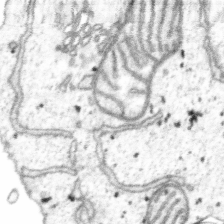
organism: Human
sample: HeLa cells